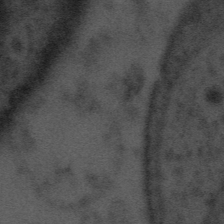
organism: Tuwongella immobilis